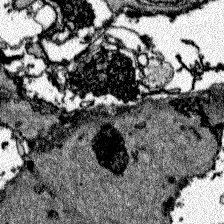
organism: Zebrafish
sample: Larval olfactory bulb